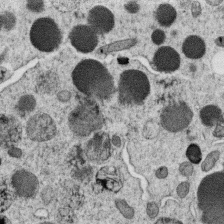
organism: C. elegans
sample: C. elegans oocyte; sperm cells